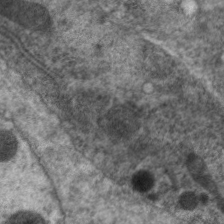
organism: C. elegans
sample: Pharynx